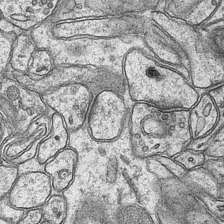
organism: Mouse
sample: CA1 Hippocampus